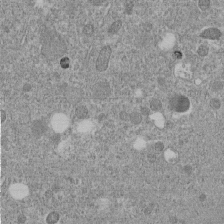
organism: C. elegans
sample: C. elegans embryo early stage